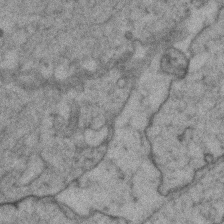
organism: Zebrafish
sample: Zebrafish embryo